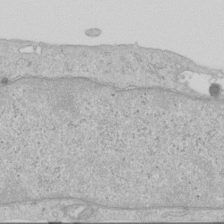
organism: Human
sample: Centriole in RPE cells